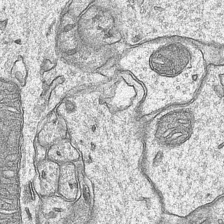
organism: Mouse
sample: CA1 Hippocampus